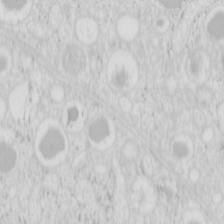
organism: Mouse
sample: Pancreas